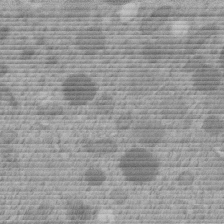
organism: C. elegans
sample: C. elegans embryo early stage